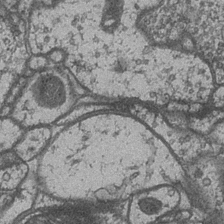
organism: Drosophila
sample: Optic medulla